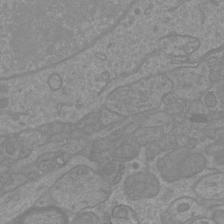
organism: Mouse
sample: Cortical neurons